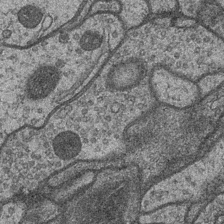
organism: Drosophila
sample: Optic medulla